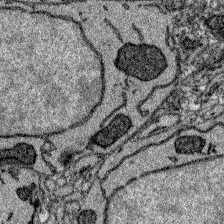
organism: Zebrafish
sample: Larval olfactory bulb